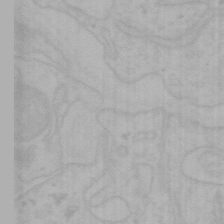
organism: Mouse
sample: Choroid plexus